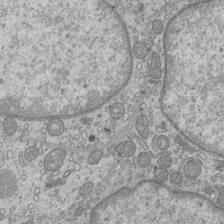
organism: Mouse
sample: Cilia; mouse epididymis